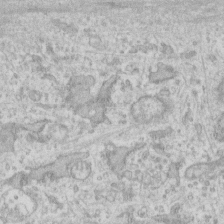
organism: Human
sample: Fibroblast cells